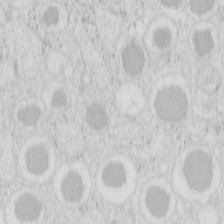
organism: Mouse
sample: Pancreas